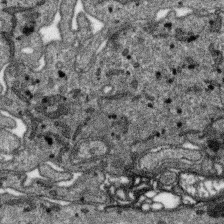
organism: Human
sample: Lung epithelial cells infected with SARS-CoV-2